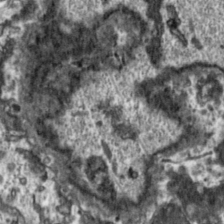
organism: Toxoplasma gondii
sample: Parasites in a vacuole inside a host cell